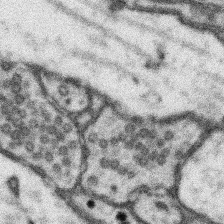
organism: Mouse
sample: Somatosensory cortex neuropil